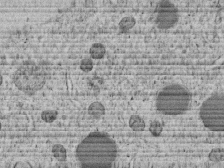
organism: C. elegans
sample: C. elegans embryo early stage